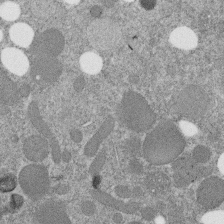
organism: C. elegans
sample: C. elegans embryo early stage